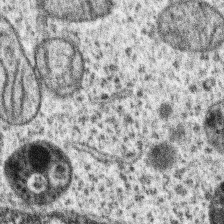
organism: Human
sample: HeLa cells